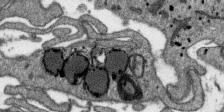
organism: Human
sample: Lung epithelial cells, uninfected (mock) control